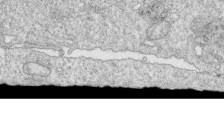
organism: Human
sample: HeLa cell HIV synapse